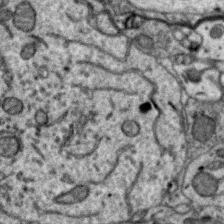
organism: Zebra finch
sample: Brain